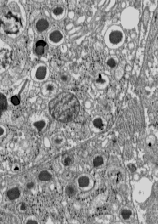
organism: C57BL Mouse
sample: Pancreatic islet